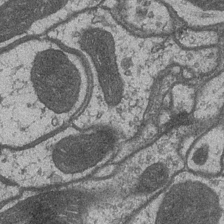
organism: Drosophila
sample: Optic medulla